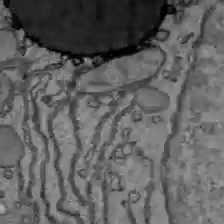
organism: C57BL Mouse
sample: Liver